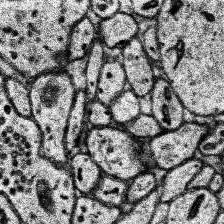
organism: Human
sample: Temporal Lobe